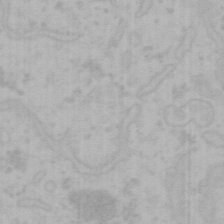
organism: Mouse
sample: Choroid plexus